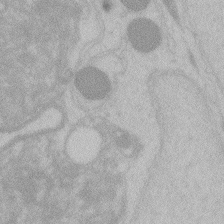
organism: Zebrafish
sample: Macrophage infected with Toxoplasma gondii